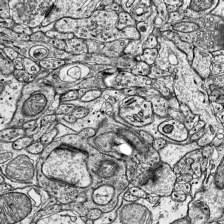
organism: Mouse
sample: Visual Cortex